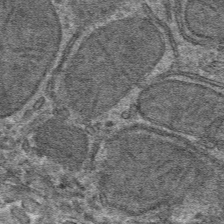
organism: Mouse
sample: Mouse hepatocytes